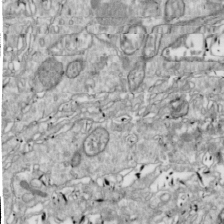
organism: Drosophila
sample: Cell division; meiosis; drosophila spermatocytes